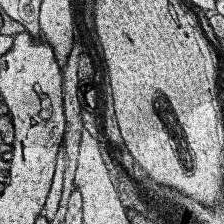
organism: Human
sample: Temporal Lobe